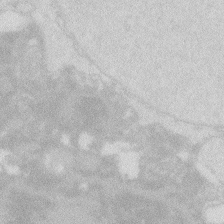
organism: Zebrafish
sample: Macrophage